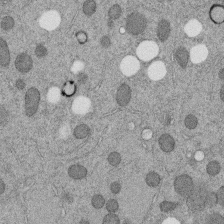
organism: C. elegans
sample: C. elegans embryo early stage